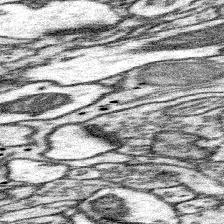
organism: Mouse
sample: Somatosensory cortex neuropil